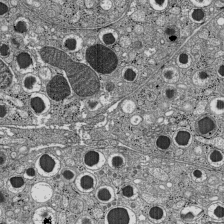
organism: C57BL Mouse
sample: Pancreatic islet